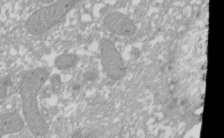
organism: Xenopus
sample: Cilia; centrioles in frog embryo cells